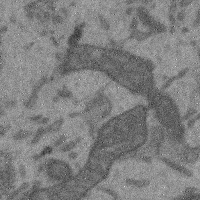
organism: Mouse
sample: Cerebral cortex